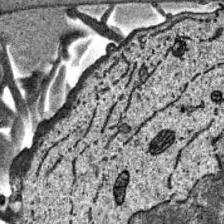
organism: Human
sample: HeLa cells